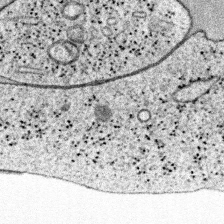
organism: Human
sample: HeLa cells